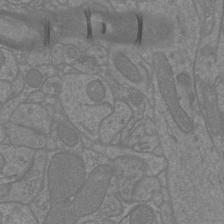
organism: Mouse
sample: Cortical neurons